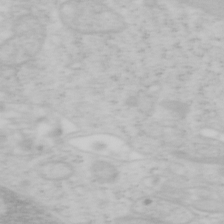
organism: Mouse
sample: OT-I killer T cells with ID8 ovarian cancer cells